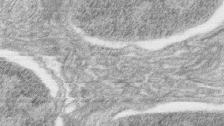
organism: Zebrafish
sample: synaptic ribbons in rod cells and cone cells